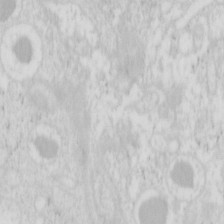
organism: Mouse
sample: Pancreas